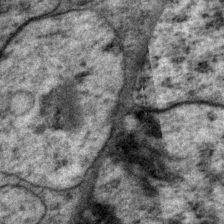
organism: P. pacificus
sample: Pharynx